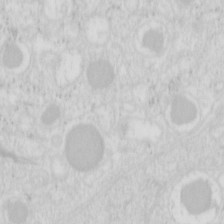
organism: Mouse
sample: Pancreas